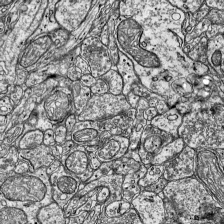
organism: Mouse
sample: Visual Cortex